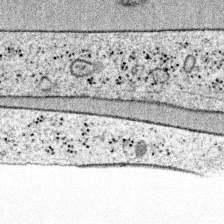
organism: Human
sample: HeLa cells